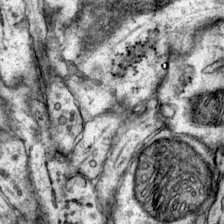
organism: Mouse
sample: Primary visual cortex